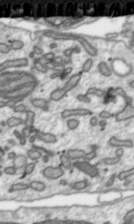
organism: Toxoplasma gondii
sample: Parasites in a vacuole inside a host cell